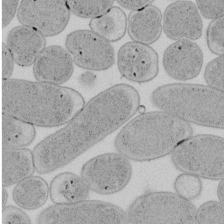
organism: E. coli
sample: Bacterial nucleoid